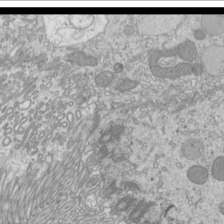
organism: Mouse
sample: Cilia; mouse epididymis